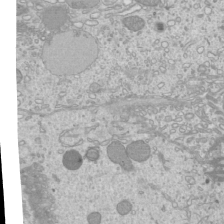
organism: Mouse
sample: Cilia; mouse epididymis